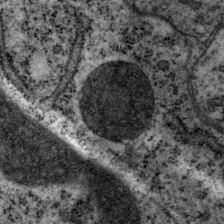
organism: P. pacificus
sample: Pharynx